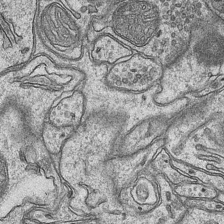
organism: Mouse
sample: CA1 Hippocampus